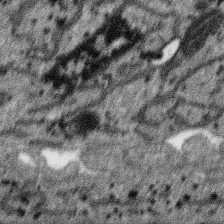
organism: Human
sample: Lung epithelial cells infected with SARS-CoV-2